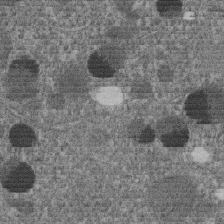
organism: C. elegans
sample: C. elegans embryo early stage